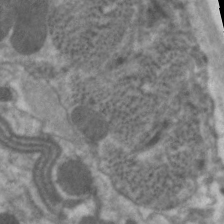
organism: C. elegans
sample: Pharynx